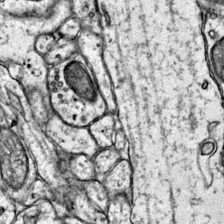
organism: Mouse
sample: Primary visual cortex